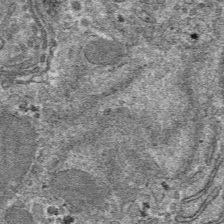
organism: Mouse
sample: Mouse hepatocytes